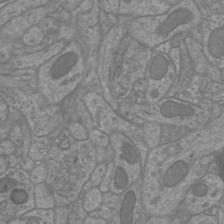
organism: Mouse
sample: Cortical neurons